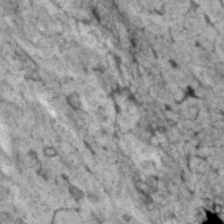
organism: Human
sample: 1205lu cells